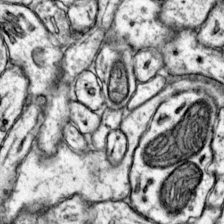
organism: Mouse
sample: Primary visual cortex